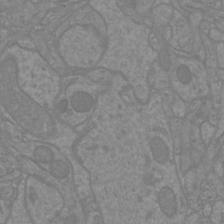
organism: Mouse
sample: Cortical neurons